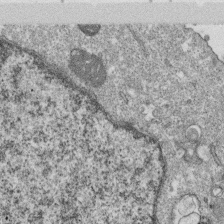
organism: African green monkey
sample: Vero E6 cells infected with SARS-CoV-2